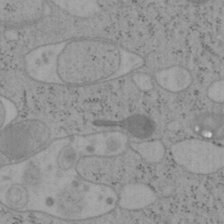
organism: Mouse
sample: OT-I killer T cells with ID8 ovarian cancer cells